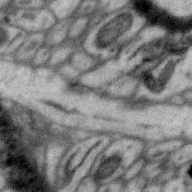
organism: Zebra finch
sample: Brain